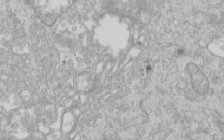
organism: Human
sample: Centriole in RPE cells